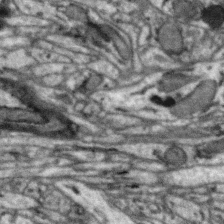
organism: Zebra finch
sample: Brain